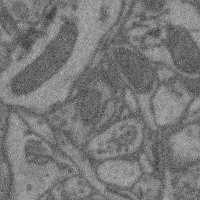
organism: Mouse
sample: Cerebral cortex